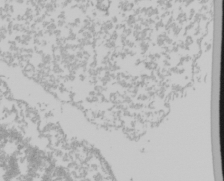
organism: Mouse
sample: Cancer cell death in ED-1 cells